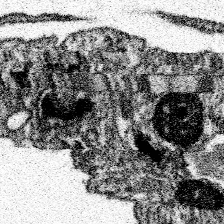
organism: Spongilla lacustris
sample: Neuroid cell